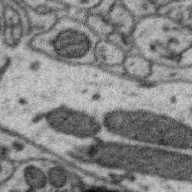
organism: Zebra finch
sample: Brain